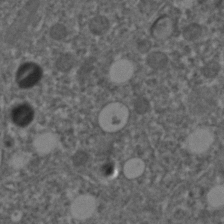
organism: C. elegans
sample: C. elegans embryo